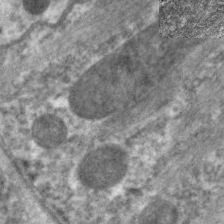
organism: C. elegans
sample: Pharynx